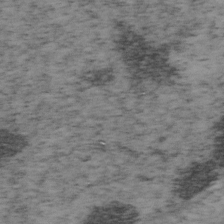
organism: Mouse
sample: OT-I killer T cells with ID8 ovarian cancer cells